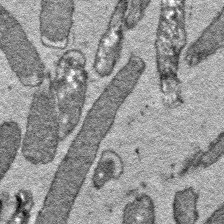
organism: E. coli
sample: E. Coli Bacteria